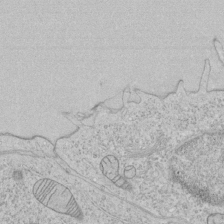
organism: Human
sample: Mitochondria in HCT116 cells